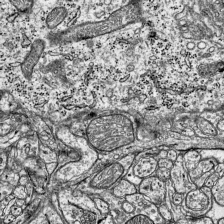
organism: Mouse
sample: Visual Cortex